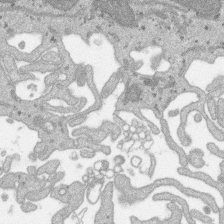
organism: Human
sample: Lung epithelial cells infected with SARS-CoV-2